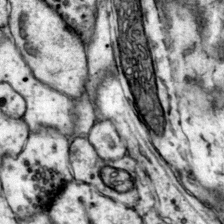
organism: Mouse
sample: Primary visual cortex